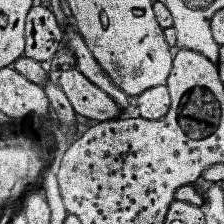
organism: Human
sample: Temporal Lobe